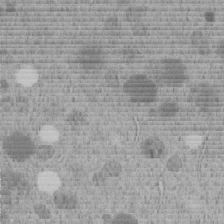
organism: C. elegans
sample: C. elegans embryo early stage